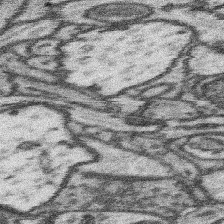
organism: Mouse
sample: Somatosensory cortex neuropil